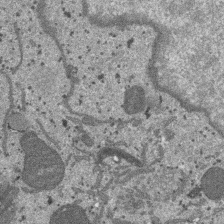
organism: Human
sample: Lung epithelial cells infected with SARS-CoV-2